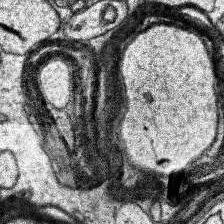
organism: Human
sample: Temporal Lobe